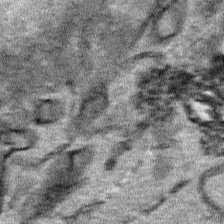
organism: Human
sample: Mitochondria in HCT116 cells